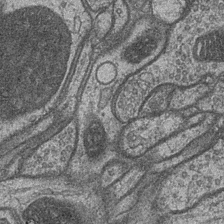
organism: Drosophila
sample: Optic medulla